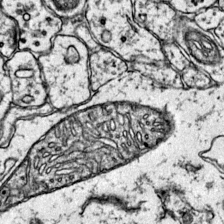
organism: Mouse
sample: Primary visual cortex